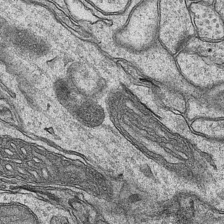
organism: Mouse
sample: CA1 Hippocampus